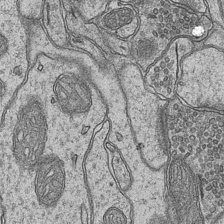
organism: Mouse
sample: CA1 Hippocampus